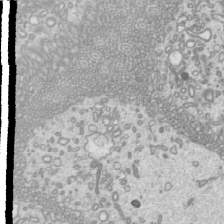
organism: Mouse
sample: Cilia; mouse epididymis